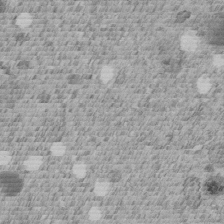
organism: C. elegans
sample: C. elegans embryo early stage